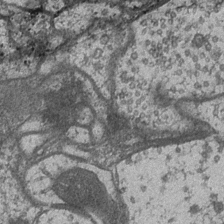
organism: Drosophila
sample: Optic medulla